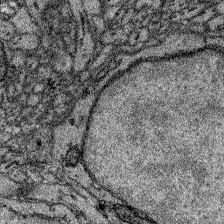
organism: Zebrafish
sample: Larval olfactory bulb